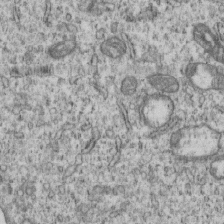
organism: Human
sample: MDA-MB-231 cells